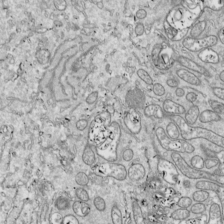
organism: Drosophila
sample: Cell division; meiosis; drosophila spermatocytes